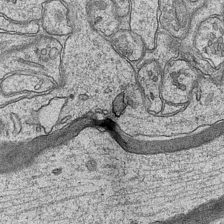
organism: Mouse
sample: CA1 Hippocampus